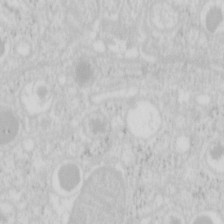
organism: Mouse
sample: Pancreas